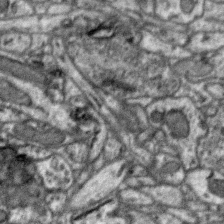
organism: Zebra finch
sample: Brain